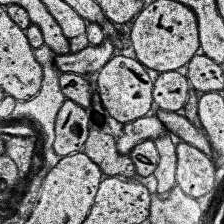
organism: Human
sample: Temporal Lobe